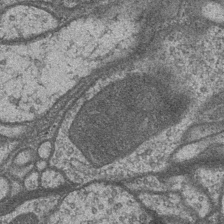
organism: Drosophila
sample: Optic medulla